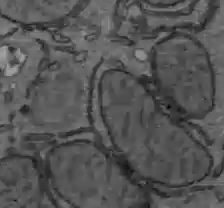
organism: C57BL Mouse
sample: Liver